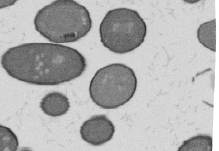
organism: B. subtilis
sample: Bacterial spore